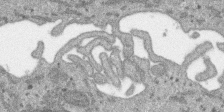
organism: Human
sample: Lung epithelial cells infected with SARS-CoV-2